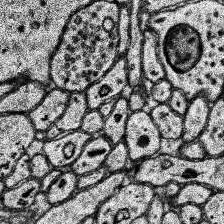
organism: Human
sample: Temporal Lobe